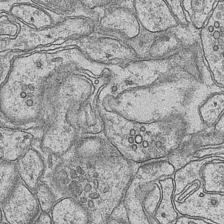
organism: Mouse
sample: CA1 Hippocampus